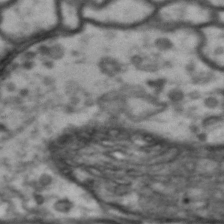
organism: Drosophila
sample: Brain